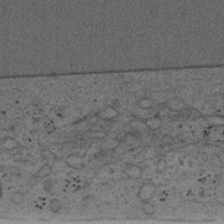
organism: Human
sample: HeLa cells